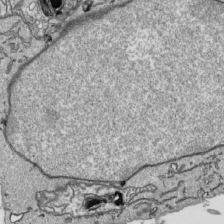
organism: Human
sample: Mitochondria in HCT116 cells